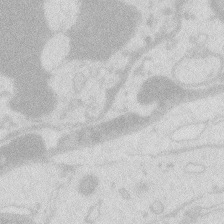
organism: Zebrafish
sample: Macrophage